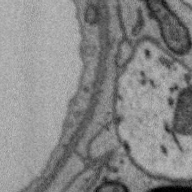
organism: Zebra finch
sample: Brain